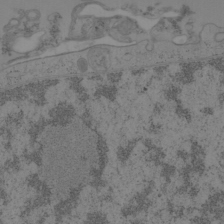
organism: Human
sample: HeLa cells